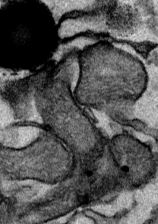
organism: Mouse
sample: Cancer cell death in ED-1 cells